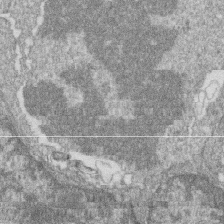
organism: Zebrafish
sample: Cilia; retinal pigment epithelium